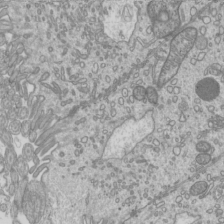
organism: Mouse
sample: Cilia; mouse epididymis